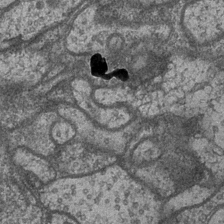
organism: Drosophila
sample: Optic medulla